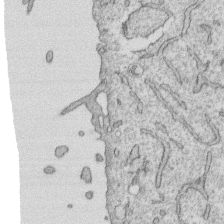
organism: Human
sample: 1205lu cells